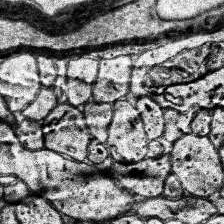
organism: Human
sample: Temporal Lobe